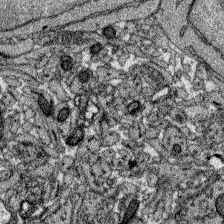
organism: Zebrafish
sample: Larval olfactory bulb